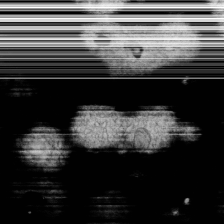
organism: C. elegans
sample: C. elegans embryo early stage